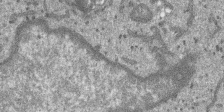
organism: Human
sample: Lung epithelial cells infected with SARS-CoV-2